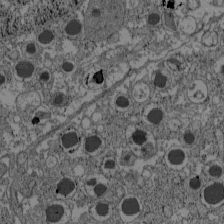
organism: C57BL Mouse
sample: Pancreatic islet